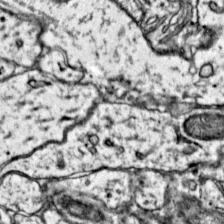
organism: Mouse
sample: Primary visual cortex